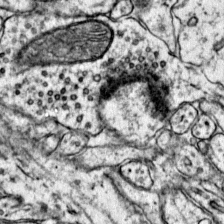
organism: Mouse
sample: Primary visual cortex